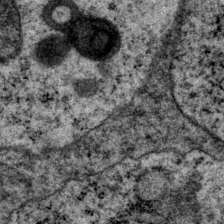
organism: P. pacificus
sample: Pharynx